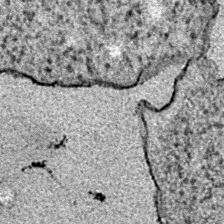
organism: E. coli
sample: E. Coli Bacteria